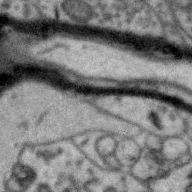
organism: Zebra finch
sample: Brain